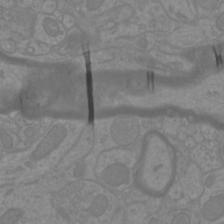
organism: Mouse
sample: Cortical neurons